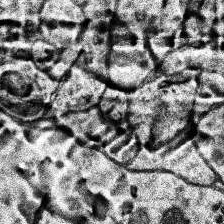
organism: Human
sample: Temporal Lobe